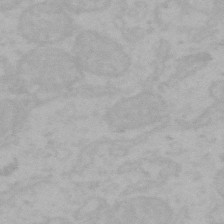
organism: Mouse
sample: Choroid plexus